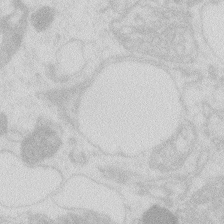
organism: Zebrafish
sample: Macrophage